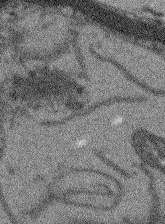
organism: Arabidopsis thaliana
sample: Root tip